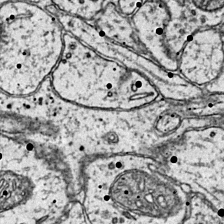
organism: Mouse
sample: Primary visual cortex